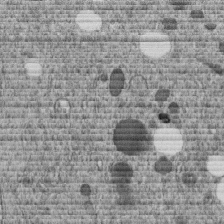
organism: C. elegans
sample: C. elegans embryo early stage